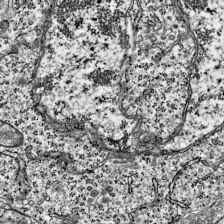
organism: Mouse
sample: Visual Cortex